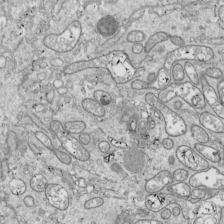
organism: Drosophila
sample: Cell division; meiosis; drosophila spermatocytes